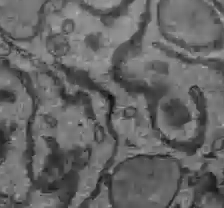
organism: C57BL Mouse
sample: Liver